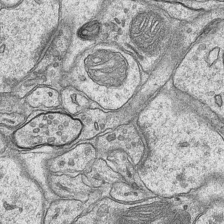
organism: Mouse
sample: CA1 Hippocampus